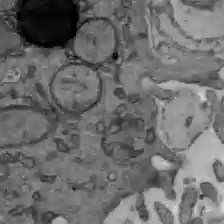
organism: C57BL Mouse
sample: Liver